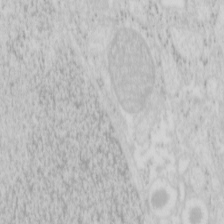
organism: Mouse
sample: Pancreas